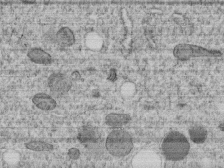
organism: C. elegans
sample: C. elegans embryo early stage